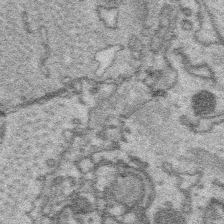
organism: Platynereis dumerilii